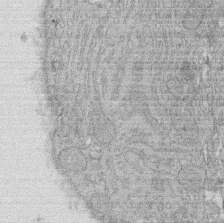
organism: Rat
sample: Salivary granule